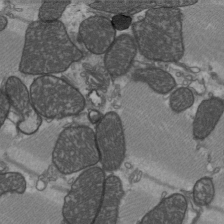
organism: C57BL Mouse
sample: Heart